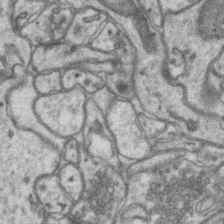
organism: Mouse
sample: CA1 Hippocampus